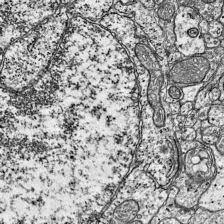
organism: Mouse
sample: Visual Cortex